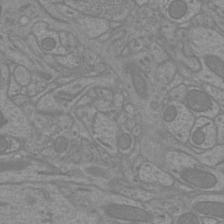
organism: Mouse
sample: Cortical neurons